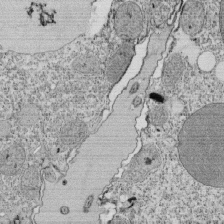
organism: Tetrahymena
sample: Cilia in tetrahymena